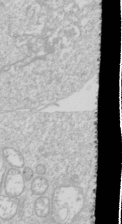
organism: Drosophila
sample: Cell division; meiosis; drosophila spermatocytes